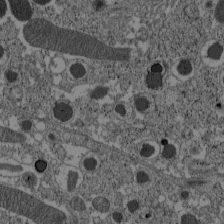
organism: C57BL Mouse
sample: Pancreatic islet